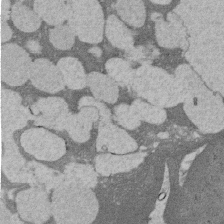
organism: Rat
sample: Salivary granule